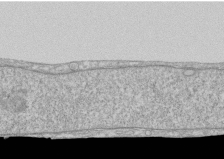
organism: Human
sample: CRL-1474